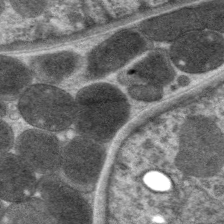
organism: C. elegans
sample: Pharynx